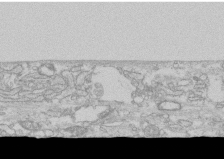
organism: Human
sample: CRL-1474